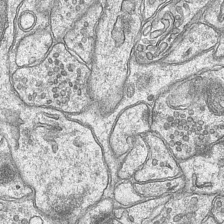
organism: Mouse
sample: CA1 Hippocampus